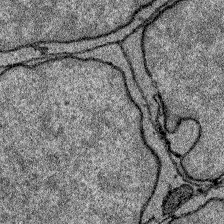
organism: Zebrafish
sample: Larval olfactory bulb